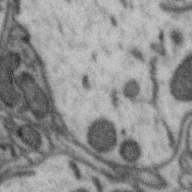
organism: Zebra finch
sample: Brain